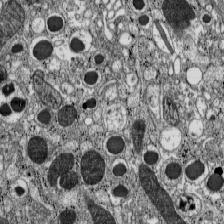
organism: C57BL Mouse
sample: Pancreatic islet